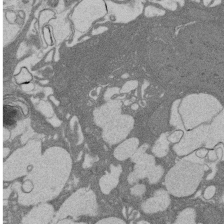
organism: Rat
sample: Salivary granule